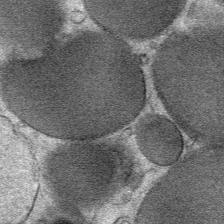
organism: Mouse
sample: Mouse Salivary gland